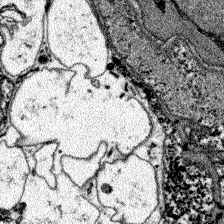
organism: Zebrafish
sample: Larval olfactory bulb